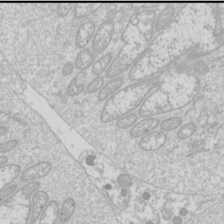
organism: Drosophila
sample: Cell division; meiosis; drosophila spermatocytes